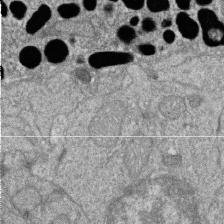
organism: Zebrafish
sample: Cilia; retinal pigment epithelium